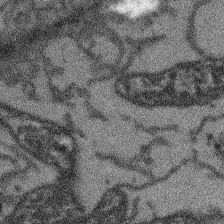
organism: Arabidopsis thaliana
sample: Root tip